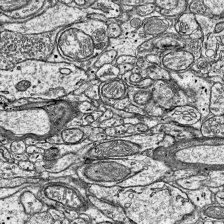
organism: Mouse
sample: Visual Cortex